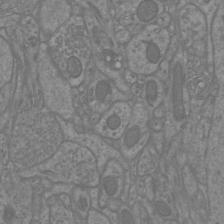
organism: Mouse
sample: Cortical neurons